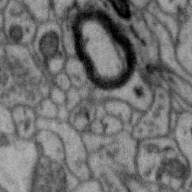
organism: Zebra finch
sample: Brain